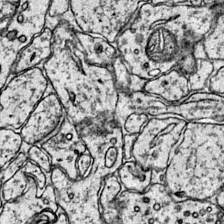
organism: Mouse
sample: Primary visual cortex